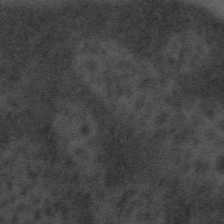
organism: Tuwongella immobilis